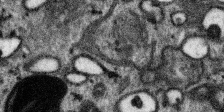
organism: Human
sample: Lung epithelial cells infected with SARS-CoV-2